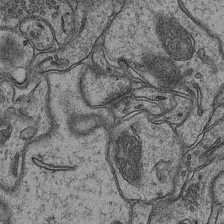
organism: Mouse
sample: CA1 Hippocampus